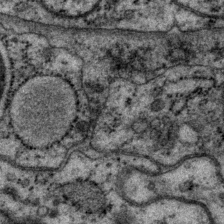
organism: P. pacificus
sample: Pharynx